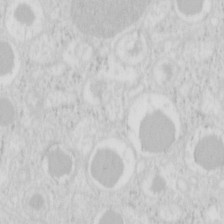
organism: Mouse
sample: Pancreas